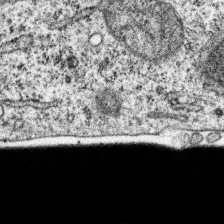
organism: Human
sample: HeLa cells